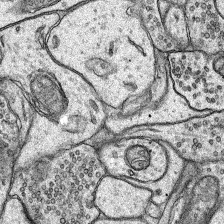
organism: Rat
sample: Hippocampus